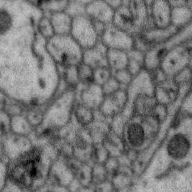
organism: Zebra finch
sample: Brain